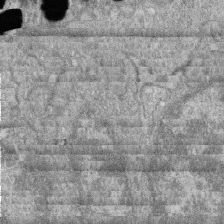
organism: Zebrafish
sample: Cilia; retinal pigment epithelium